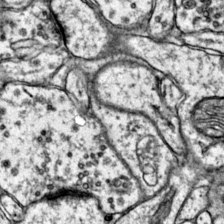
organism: Mouse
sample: Primary visual cortex